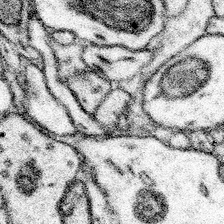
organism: Mouse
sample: Somatosensory cortex neuropil